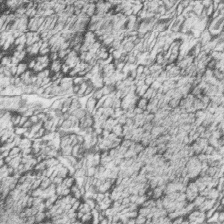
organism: Zebrafish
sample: synaptic ribbons in rod cells and cone cells